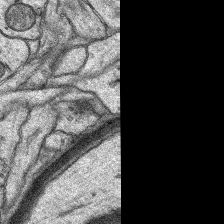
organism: Rat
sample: Hippocampus